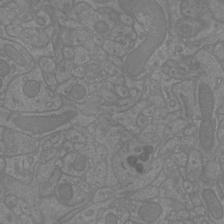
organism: Mouse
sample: Cortical neurons